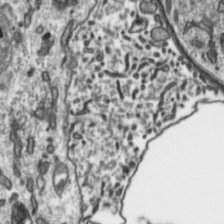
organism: Toxoplasma gondii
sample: Parasites in a vacuole inside a host cell